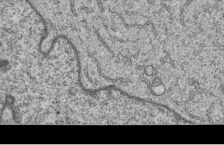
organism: Human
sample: MDA-MB-231 cells